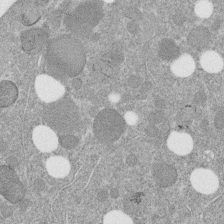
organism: C. elegans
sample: C. elegans embryo early stage